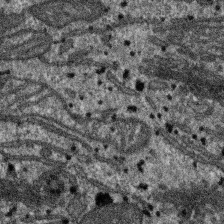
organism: Human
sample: Lung epithelial cells infected with SARS-CoV-2